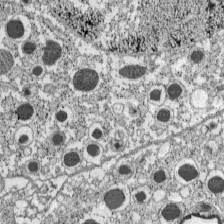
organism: C57BL Mouse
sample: Pancreatic islet